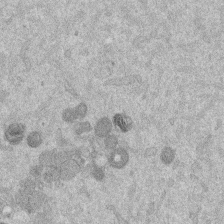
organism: Mouse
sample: Dividing mouse embryo 1 cell stage